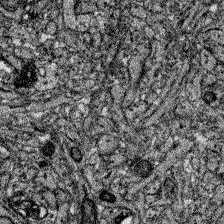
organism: Zebrafish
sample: Larval olfactory bulb